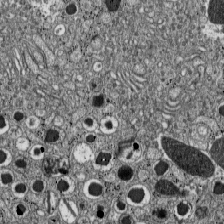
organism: C57BL Mouse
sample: Pancreatic islet